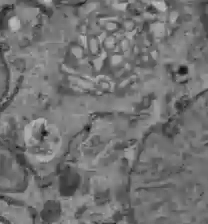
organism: C57BL Mouse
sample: Liver